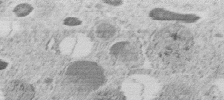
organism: C. elegans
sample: C. elegans embryo early stage